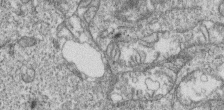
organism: Human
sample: HeLa cell HIV synapse